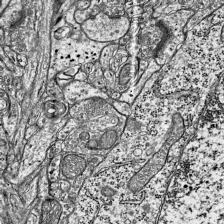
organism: Mouse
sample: Visual Cortex